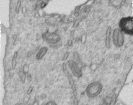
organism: Human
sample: Centriole in RPE cells